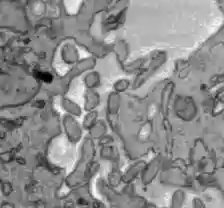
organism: C57BL Mouse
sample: Liver